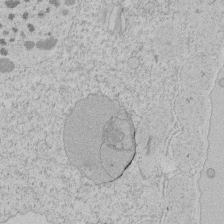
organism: Tetrahymena